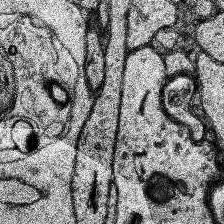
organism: Human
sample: Temporal Lobe